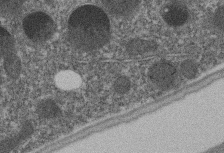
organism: C. elegans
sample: C. elegans embryo early stage